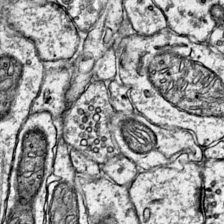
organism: Mouse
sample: Primary visual cortex